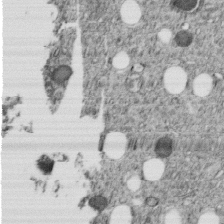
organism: C. elegans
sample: C. elegans embryo early stage